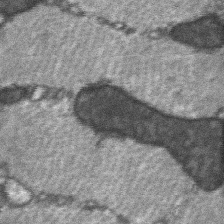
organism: C57BL Mouse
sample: Soleus